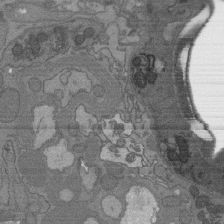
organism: C. elegans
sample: AFD neurons C. elegans